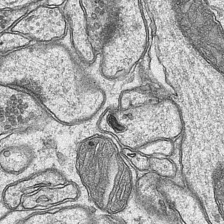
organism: Mouse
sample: CA1 Hippocampus